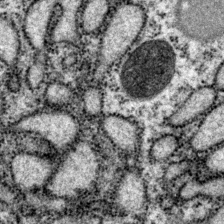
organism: P. pacificus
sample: Pharynx